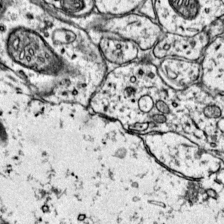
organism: Mouse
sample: Primary visual cortex